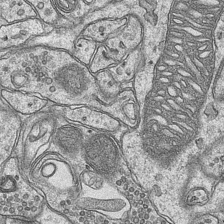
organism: Mouse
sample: CA1 Hippocampus